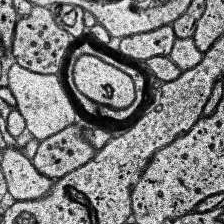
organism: Human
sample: Temporal Lobe